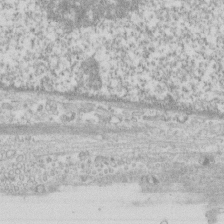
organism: Human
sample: CRL-1474